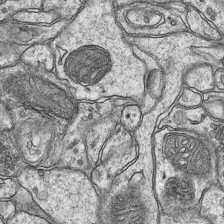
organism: Mouse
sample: CA1 Hippocampus